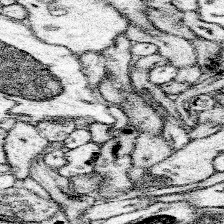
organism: Mouse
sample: Somatosensory cortex neuropil